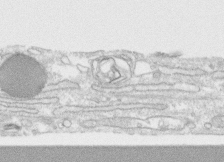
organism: Human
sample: CRL-1474